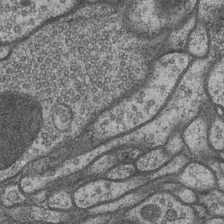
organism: Drosophila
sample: Optic medulla